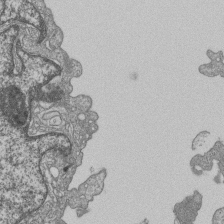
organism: Human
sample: MDA-MB-231 cells